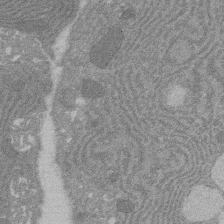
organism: Rat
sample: Salivary granule